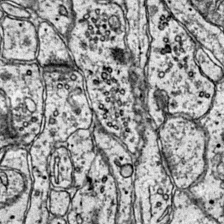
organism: Mouse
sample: Primary visual cortex